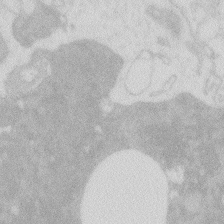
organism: Zebrafish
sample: Macrophage